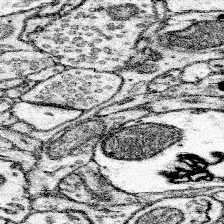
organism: Mouse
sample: Somatosensory cortex neuropil